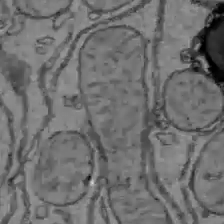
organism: C57BL Mouse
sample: Liver